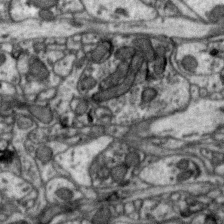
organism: Zebra finch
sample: Brain